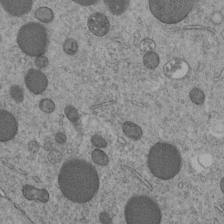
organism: C. elegans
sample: C. elegans embryo early stage